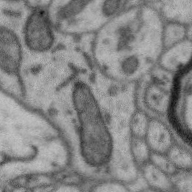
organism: Zebra finch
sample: Brain